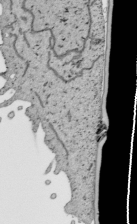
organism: Human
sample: Mitochondria in HCT116 cells